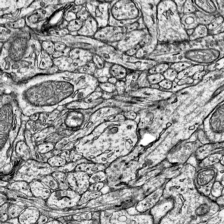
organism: Mouse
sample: Visual Cortex